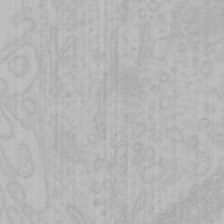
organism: Mouse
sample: Choroid plexus